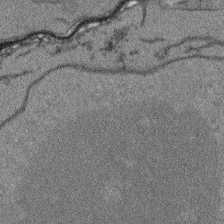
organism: Arabidopsis thaliana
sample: Root tip